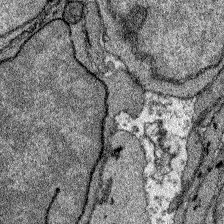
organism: Zebrafish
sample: Larval olfactory bulb